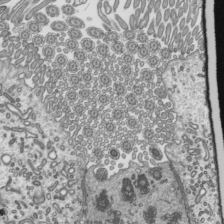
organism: Mouse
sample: Mouse epididymis efferent ductule cilia